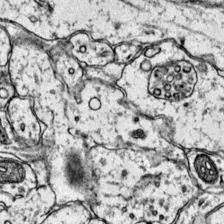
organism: Mouse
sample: Primary visual cortex